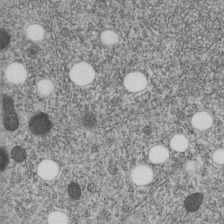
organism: C. elegans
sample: C. elegans embryo early stage